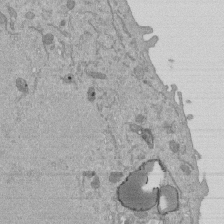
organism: Mouse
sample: ED-1 cell nuclei; centrioles